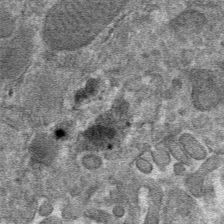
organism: Mouse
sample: Mouse hepatocytes